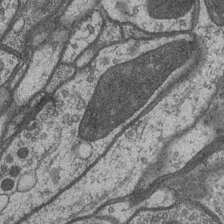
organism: Drosophila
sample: Optic medulla